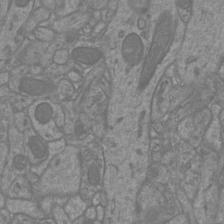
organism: Mouse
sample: Cortical neurons